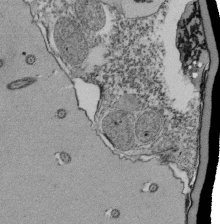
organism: Tetrahymena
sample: Cilia in tetrahymena